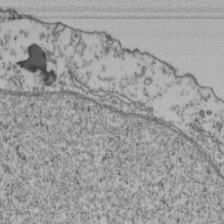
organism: Human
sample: Activated Jurkat CD4+ T cells